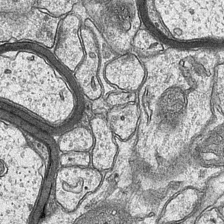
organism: Mouse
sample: CA1 Hippocampus